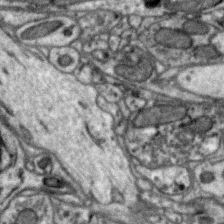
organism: Zebra finch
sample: Brain